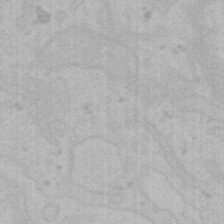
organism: Mouse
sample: Choroid plexus